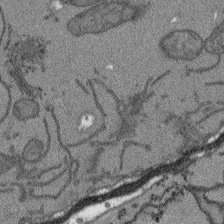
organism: Arabidopsis thaliana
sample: Root tip